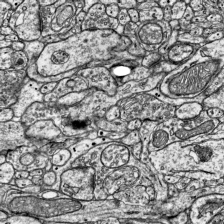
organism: Mouse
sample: Visual Cortex